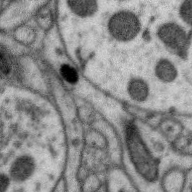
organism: Zebra finch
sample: Brain